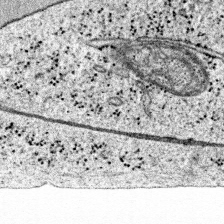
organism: Human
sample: HeLa cells